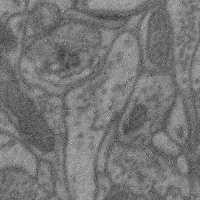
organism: Mouse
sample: Cerebral cortex